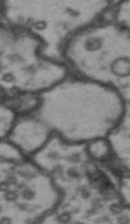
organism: Drosophila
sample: Brain